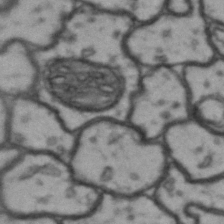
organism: Drosophila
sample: Brain